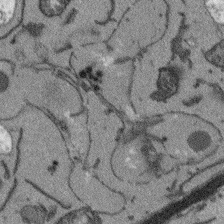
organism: Arabidopsis thaliana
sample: Root tip